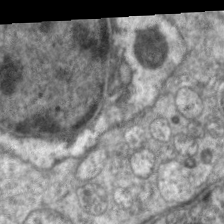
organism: C. elegans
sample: Pharynx